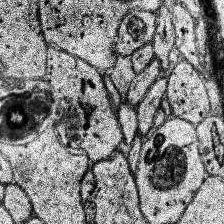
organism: Human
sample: Temporal Lobe